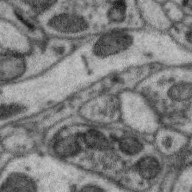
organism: Zebra finch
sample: Brain